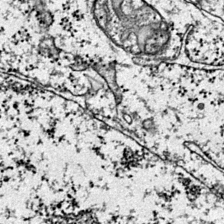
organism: Mouse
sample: Primary visual cortex